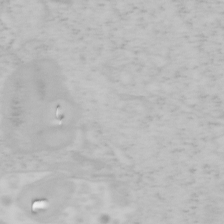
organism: Mouse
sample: OT-I killer T cells with ID8 ovarian cancer cells